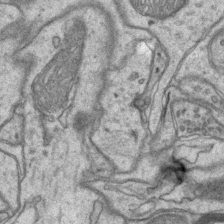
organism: Mouse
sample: CA1 Hippocampus